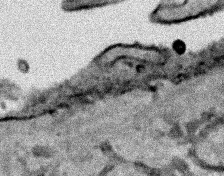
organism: Human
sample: Mitochondria in HCT116 cells